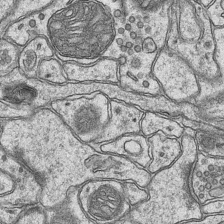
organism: Mouse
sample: CA1 Hippocampus